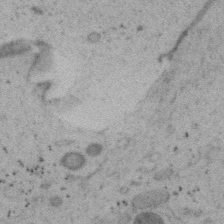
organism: Human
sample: HeLa cells